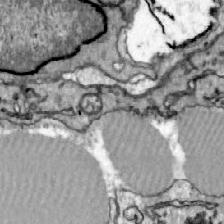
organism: Zebrafish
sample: Actinotrichia fibers